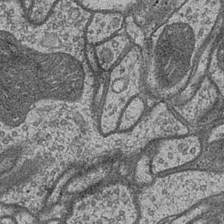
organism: Drosophila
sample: Optic medulla